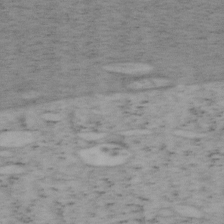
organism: Mouse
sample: OT-I killer T cells with ID8 ovarian cancer cells